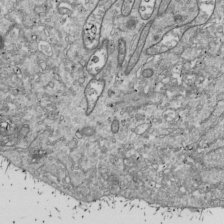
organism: Drosophila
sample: Cell division; meiosis; drosophila spermatocytes